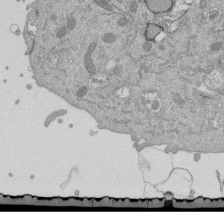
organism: Mouse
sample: ED-1 cell nuclei; centrioles